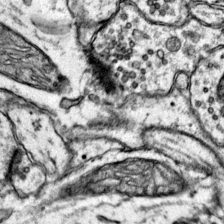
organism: Mouse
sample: Primary visual cortex